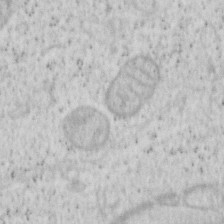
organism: Human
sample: HeLa cells